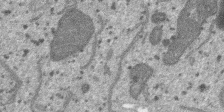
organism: Human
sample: Lung epithelial cells infected with SARS-CoV-2